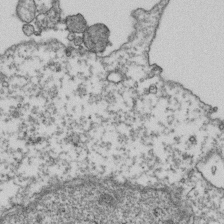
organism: Human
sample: Activated Jurkat CD4+ T cells